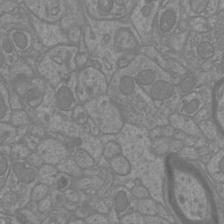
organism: Mouse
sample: Cortical neurons